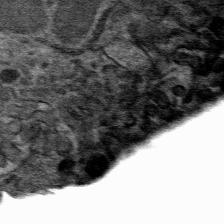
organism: Mouse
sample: Mouse hepatocytes